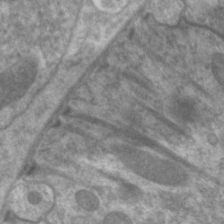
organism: C. elegans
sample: Pharynx